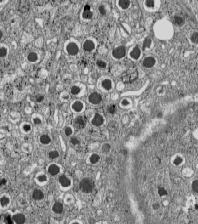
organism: C57BL Mouse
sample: Pancreatic islet